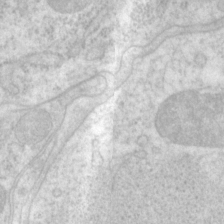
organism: P. pacificus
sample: Pharynx